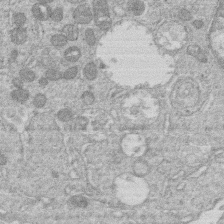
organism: Human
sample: Macrophage cells